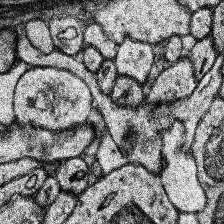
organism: Human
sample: Temporal Lobe